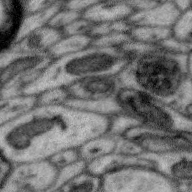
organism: Zebra finch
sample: Brain